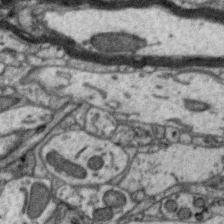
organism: Zebra finch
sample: Brain